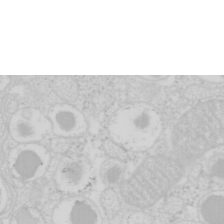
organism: Mouse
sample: Pancreas